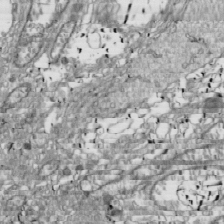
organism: Drosophila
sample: Cell division; meiosis; drosophila spermatocytes